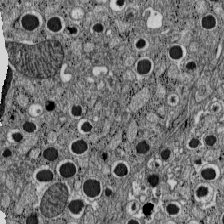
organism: C57BL Mouse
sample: Pancreatic islet